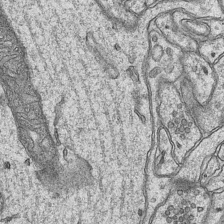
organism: Mouse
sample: CA1 Hippocampus